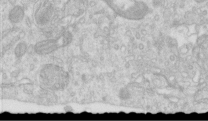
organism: Human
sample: Centriole in RPE cells